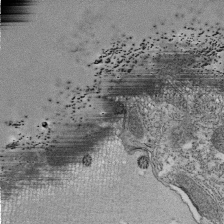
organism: Tetrahymena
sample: Cilia in tetrahymena